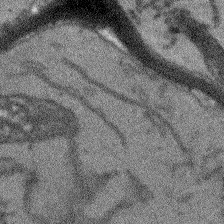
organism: Arabidopsis thaliana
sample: Root tip